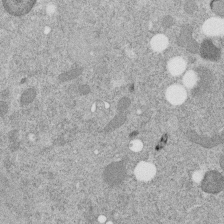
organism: C. elegans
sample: C. elegans embryo early stage